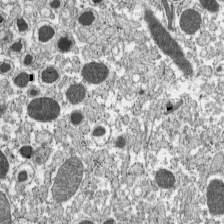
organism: C57BL Mouse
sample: Pancreatic islet